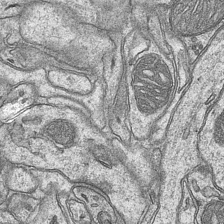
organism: Mouse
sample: CA1 Hippocampus